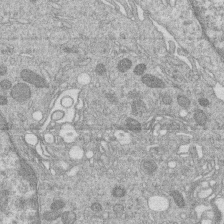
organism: Human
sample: Macrophage cells